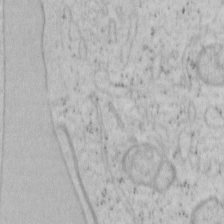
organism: Human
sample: HeLa cells